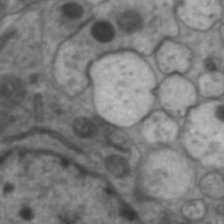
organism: C. elegans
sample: Pharynx